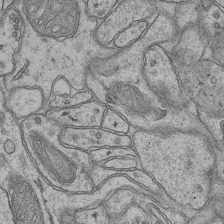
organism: Mouse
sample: CA1 Hippocampus